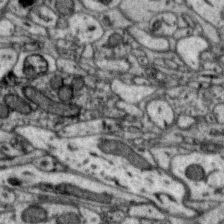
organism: Zebra finch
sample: Brain